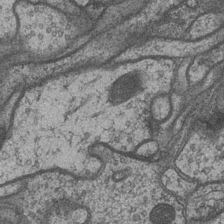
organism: Drosophila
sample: Optic medulla